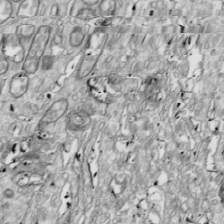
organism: Drosophila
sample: Cell division; meiosis; drosophila spermatocytes